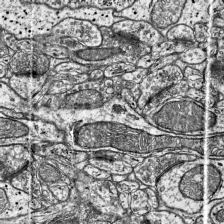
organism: Mouse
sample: Visual Cortex